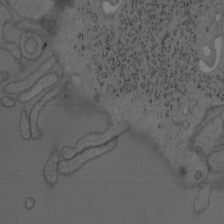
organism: Mouse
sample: OT-I killer T cells with ID8 ovarian cancer cells